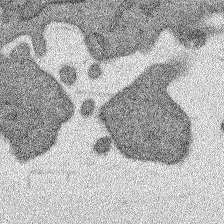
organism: Human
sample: HeLa cells